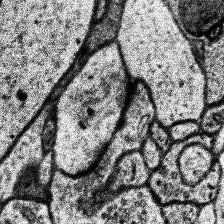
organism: Human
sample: Temporal Lobe